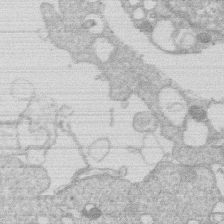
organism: Human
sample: Macrophage cells